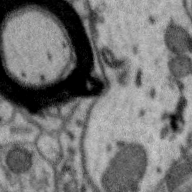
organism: Zebra finch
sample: Brain